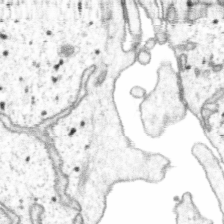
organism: Human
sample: HeLa cells